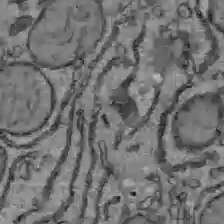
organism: C57BL Mouse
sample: Liver